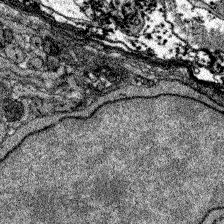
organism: Zebrafish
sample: Larval olfactory bulb